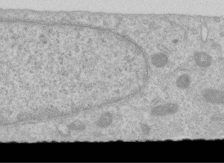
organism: Human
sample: Centriole in RPE cells